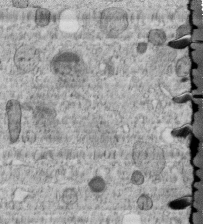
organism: C. elegans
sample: C. elegans embryo early stage